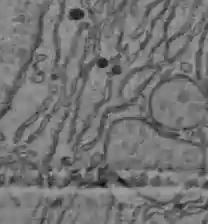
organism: C57BL Mouse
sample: Liver